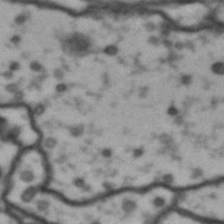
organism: Drosophila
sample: Brain